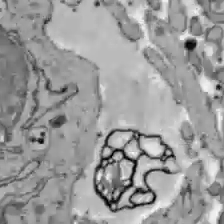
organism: C57BL Mouse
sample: Liver